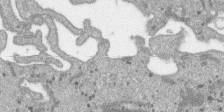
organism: Human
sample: Lung epithelial cells infected with SARS-CoV-2